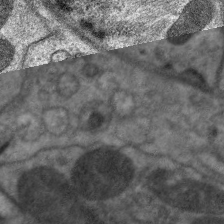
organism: C. elegans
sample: Pharynx